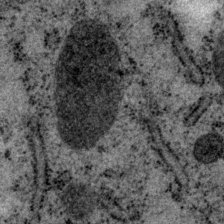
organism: P. pacificus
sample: Pharynx